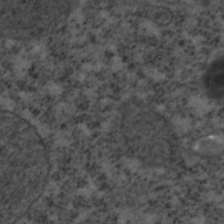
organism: C. elegans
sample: C. elegans embryo